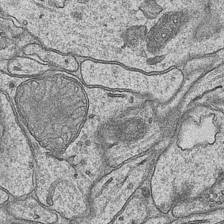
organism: Mouse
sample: CA1 Hippocampus